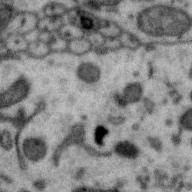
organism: Zebra finch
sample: Brain